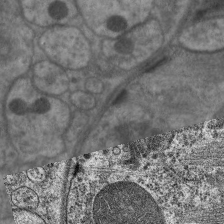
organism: C. elegans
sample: Pharynx